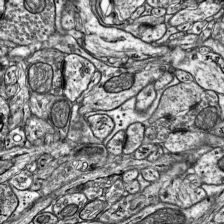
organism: Mouse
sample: Visual Cortex